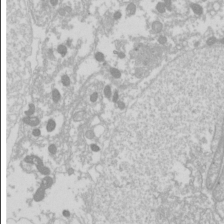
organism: Drosophila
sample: Cell division; meiosis; drosophila spermatocytes